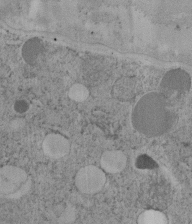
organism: C. elegans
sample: C. elegans embryo early stage